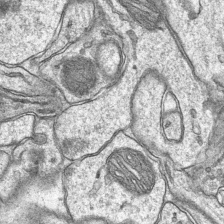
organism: Mouse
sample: CA1 Hippocampus